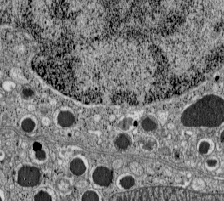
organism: C57BL Mouse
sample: Pancreatic islet